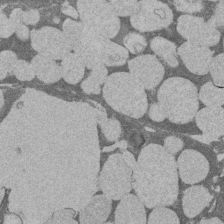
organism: Rat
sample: Salivary granule